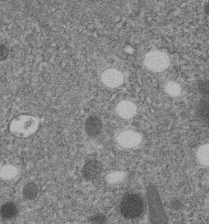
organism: C. elegans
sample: C. elegans embryo early stage